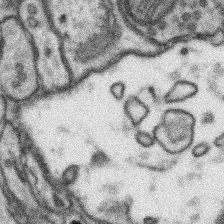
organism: Mouse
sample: Somatosensory cortex neuropil